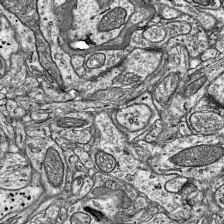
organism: Mouse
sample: Visual Cortex